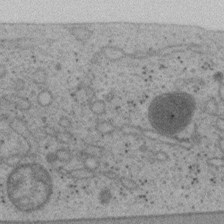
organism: Human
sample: HeLa cells